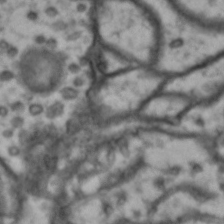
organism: Drosophila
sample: Brain